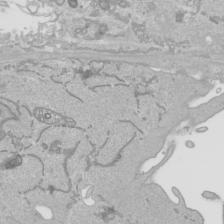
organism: Human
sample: Mitochondria in HCT116 cells